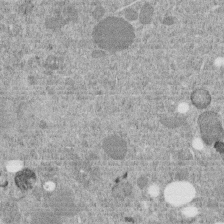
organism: C. elegans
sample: C. elegans embryo early stage